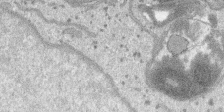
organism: Human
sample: Lung epithelial cells infected with SARS-CoV-2